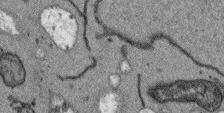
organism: Arabidopsis thaliana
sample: Root tip